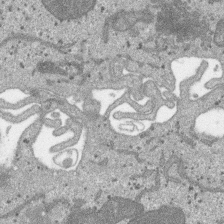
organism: Human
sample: Lung epithelial cells infected with SARS-CoV-2